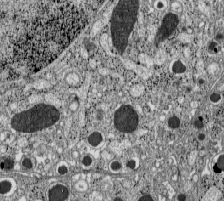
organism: C57BL Mouse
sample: Pancreatic islet